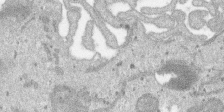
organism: Human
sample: Lung epithelial cells infected with SARS-CoV-2